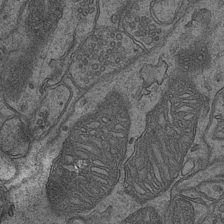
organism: Mouse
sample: CA1 Hippocampus